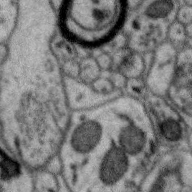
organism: Zebra finch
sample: Brain